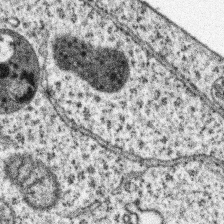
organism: Human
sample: HeLa cells